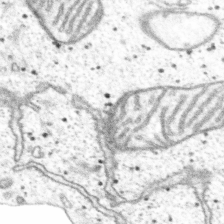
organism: Human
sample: HeLa cells